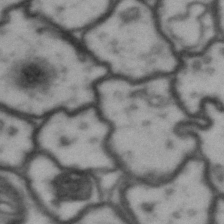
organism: Drosophila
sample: Brain